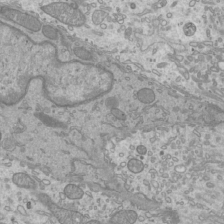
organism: Mouse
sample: Cilia; mouse epididymis